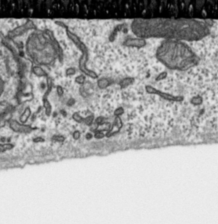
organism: Toxoplasma gondii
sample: Parasites in a vacuole inside a host cell